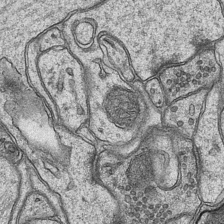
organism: Mouse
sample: CA1 Hippocampus